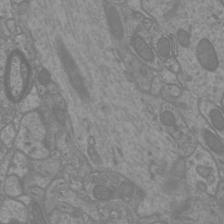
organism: Mouse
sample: Cortical neurons